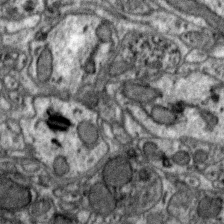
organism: Zebra finch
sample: Brain